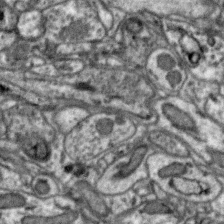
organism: Zebra finch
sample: Brain